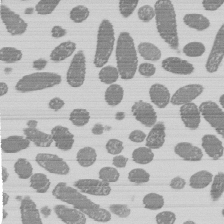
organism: E. coli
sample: Bacterial nucleoid